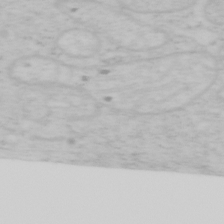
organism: Mouse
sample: OT-I killer T cells with ID8 ovarian cancer cells